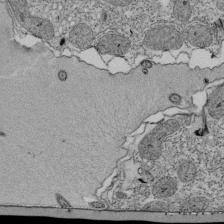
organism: Tetrahymena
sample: Cilia in tetrahymena